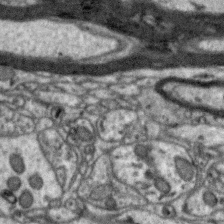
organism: Zebra finch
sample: Brain